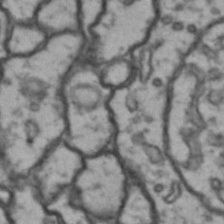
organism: Drosophila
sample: Brain